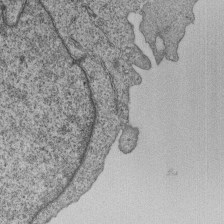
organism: Human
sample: MDA-MB-231 cells